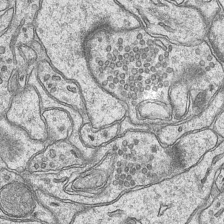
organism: Mouse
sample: CA1 Hippocampus